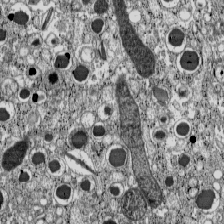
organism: C57BL Mouse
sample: Pancreatic islet